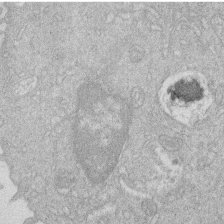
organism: Human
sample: Macrophage cells